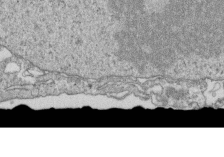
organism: Human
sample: HeLa cell HIV synapse